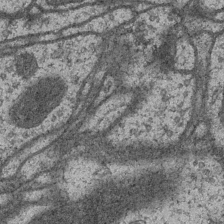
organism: Drosophila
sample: Optic medulla